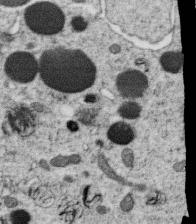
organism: C. elegans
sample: C. elegans oocyte; sperm cells